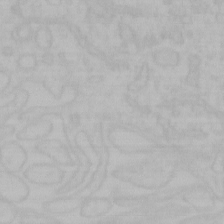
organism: Mouse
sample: Choroid plexus